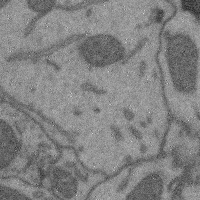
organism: Mouse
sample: Cerebral cortex